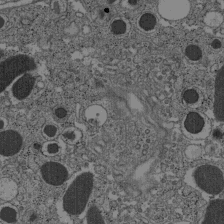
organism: C57BL Mouse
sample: Pancreatic islet